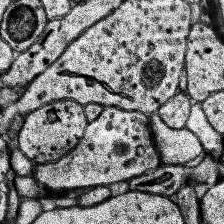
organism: Human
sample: Temporal Lobe